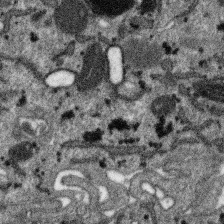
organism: Human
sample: Lung epithelial cells infected with SARS-CoV-2